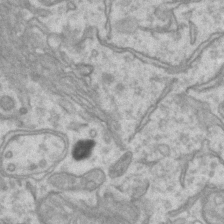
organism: Mouse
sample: CA1 Hippocampus